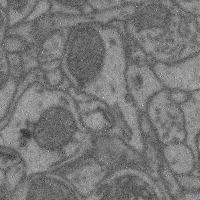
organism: Mouse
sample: Cerebral cortex